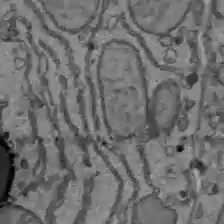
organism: C57BL Mouse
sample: Liver